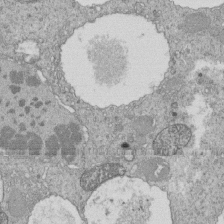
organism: Tetrahymena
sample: Cilia in tetrahymena